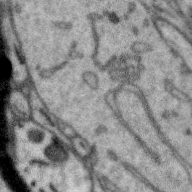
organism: Zebra finch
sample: Brain